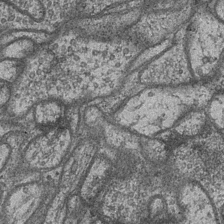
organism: Drosophila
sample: Optic medulla